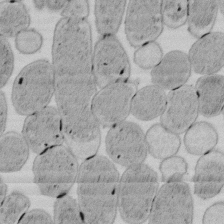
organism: E. coli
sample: Bacterial nucleoid